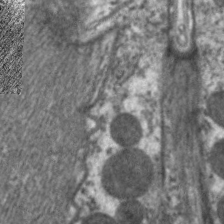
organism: C. elegans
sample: Pharynx